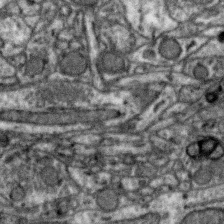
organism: Zebra finch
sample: Brain